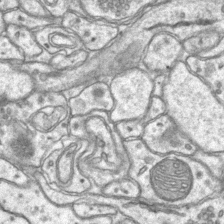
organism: Mouse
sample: CA1 Hippocampus